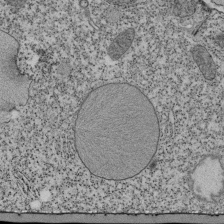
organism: Tetrahymena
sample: Cilia in tetrahymena